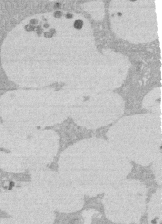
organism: Rat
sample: Salivary granule